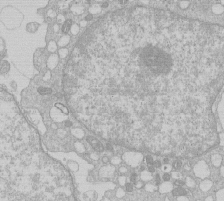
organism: Human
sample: Macrophage cells